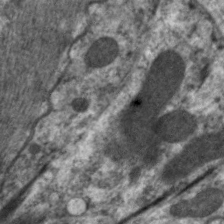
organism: C. elegans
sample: Pharynx